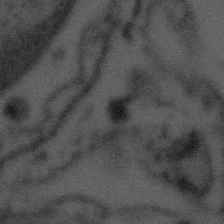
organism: Tuwongella immobilis